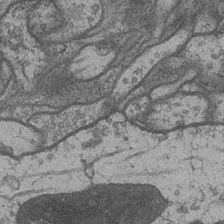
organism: Drosophila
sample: Optic medulla